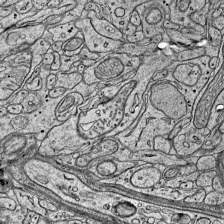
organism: Mouse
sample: Visual Cortex